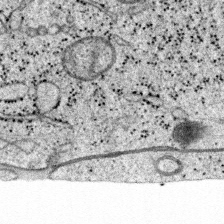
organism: Human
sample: HeLa cells